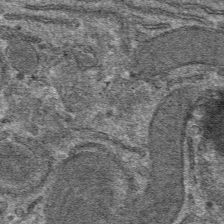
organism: Mouse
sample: Mouse hepatocytes